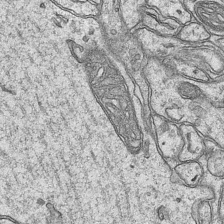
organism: Mouse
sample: CA1 Hippocampus